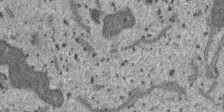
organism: Human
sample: Lung epithelial cells infected with SARS-CoV-2